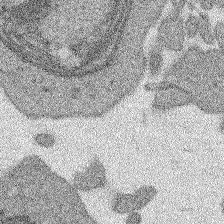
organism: Human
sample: HeLa cells